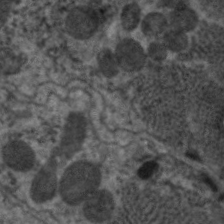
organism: C. elegans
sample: Pharynx